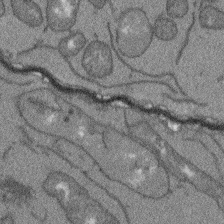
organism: Arabidopsis thaliana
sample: Root tip